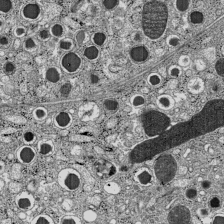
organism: C57BL Mouse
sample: Pancreatic islet